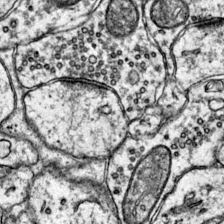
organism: Mouse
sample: Primary visual cortex